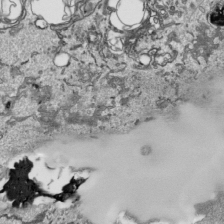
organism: Human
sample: Mitochondria in HCT116 cells